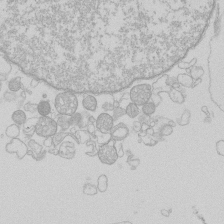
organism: Human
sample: Macrophage cells